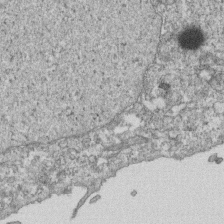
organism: Human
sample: HeLa cell HIV synapse